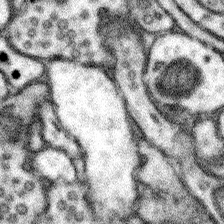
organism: Mouse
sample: Somatosensory cortex neuropil